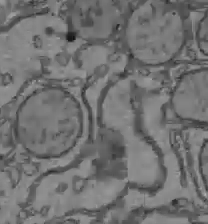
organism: C57BL Mouse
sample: Liver